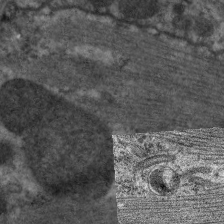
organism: C. elegans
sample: Pharynx